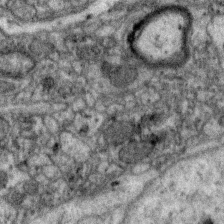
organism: Zebra finch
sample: Brain